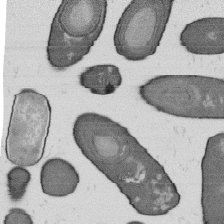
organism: B. subtilis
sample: Bacterial spore